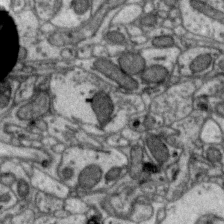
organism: Zebra finch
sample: Brain